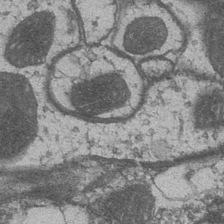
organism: Drosophila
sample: Optic medulla